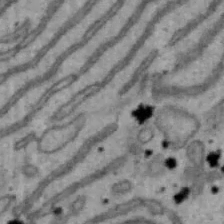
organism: Mouse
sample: Liver